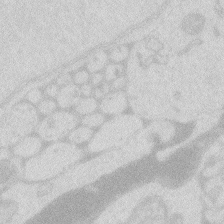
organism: Zebrafish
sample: Macrophage